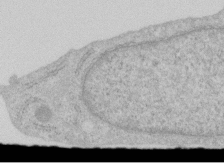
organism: Human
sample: Centriole in RPE cells